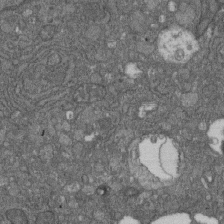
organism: Drosophila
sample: Nephrocyte